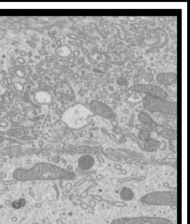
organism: Mouse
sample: Cilia; mouse epididymis